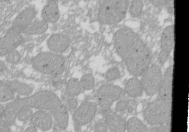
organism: Xenopus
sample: Cilia; centrioles in frog embryo cells